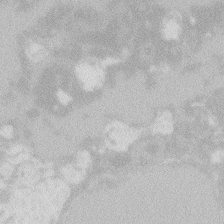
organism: Zebrafish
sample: Macrophage